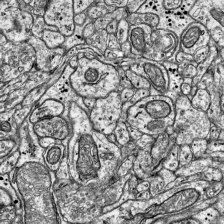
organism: Mouse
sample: Visual Cortex